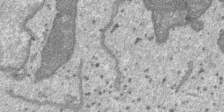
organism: Human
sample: Lung epithelial cells infected with SARS-CoV-2